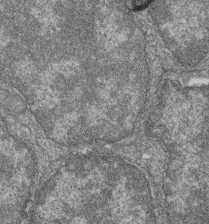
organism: Zebrafish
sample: Cilia; retinal pigment epithelium